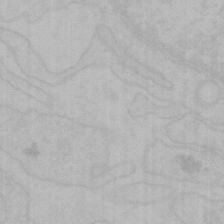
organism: Mouse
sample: Choroid plexus